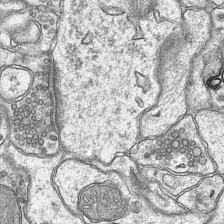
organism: Mouse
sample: CA1 Hippocampus